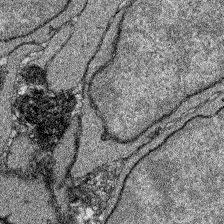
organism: Zebrafish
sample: Larval olfactory bulb